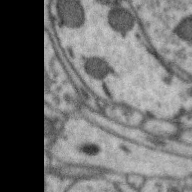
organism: Zebra finch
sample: Brain